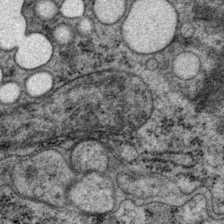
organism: P. pacificus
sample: Pharynx